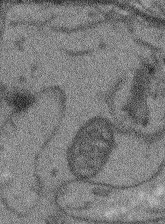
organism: Arabidopsis thaliana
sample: Root tip